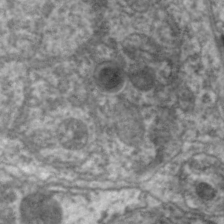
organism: C. elegans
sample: Pharynx